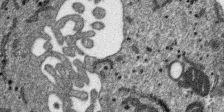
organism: Human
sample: Lung epithelial cells infected with SARS-CoV-2